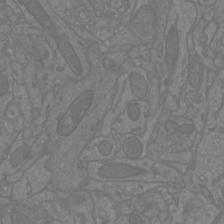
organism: Mouse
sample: Cortical neurons